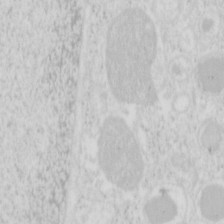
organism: Mouse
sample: Pancreas